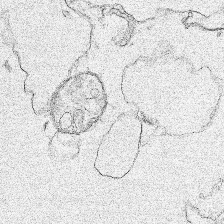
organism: Human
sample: Mitochondria in HCT116 cells